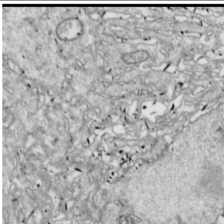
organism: Drosophila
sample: Cell division; meiosis; drosophila spermatocytes